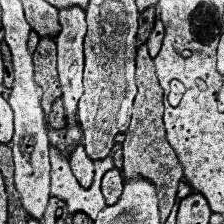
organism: Human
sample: Temporal Lobe